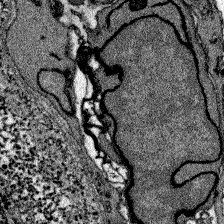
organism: Zebrafish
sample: Larval olfactory bulb